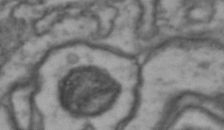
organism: Drosophila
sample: Brain